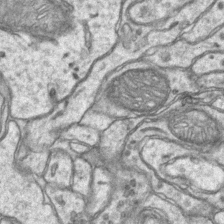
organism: Mouse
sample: CA1 Hippocampus